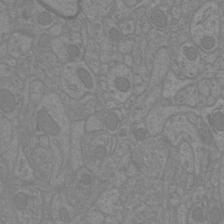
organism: Mouse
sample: Cortical neurons